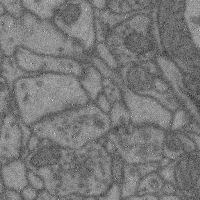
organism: Mouse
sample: Cerebral cortex